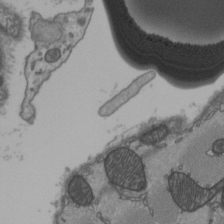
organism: C57BL Mouse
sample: Heart